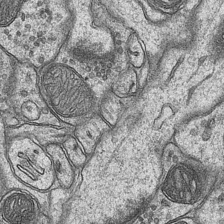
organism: Mouse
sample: CA1 Hippocampus